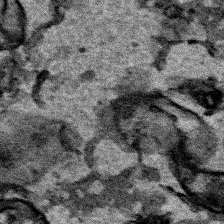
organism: Human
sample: Mitochondria in HCT116 cells